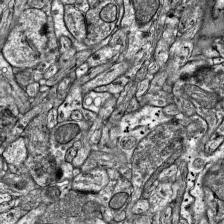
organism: Mouse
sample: Visual Cortex